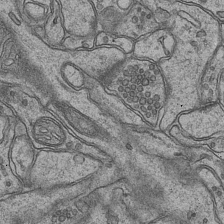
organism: Mouse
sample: CA1 Hippocampus